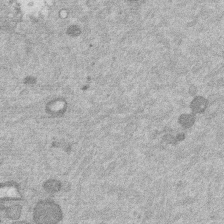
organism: Mouse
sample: Dividing mouse embryo 1 cell stage